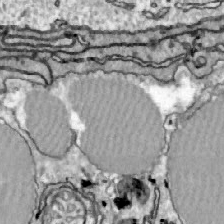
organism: Zebrafish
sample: Actinotrichia fibers